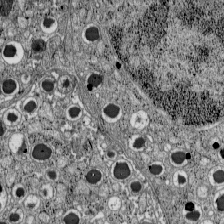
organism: C57BL Mouse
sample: Pancreatic islet